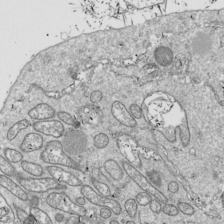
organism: Drosophila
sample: Cell division; meiosis; drosophila spermatocytes